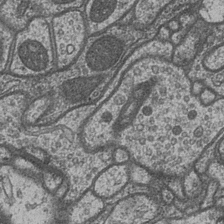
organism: Drosophila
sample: Optic medulla